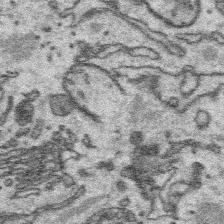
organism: Platynereis dumerilii